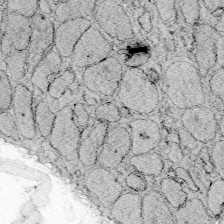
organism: Zebrafish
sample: Whole-Brain